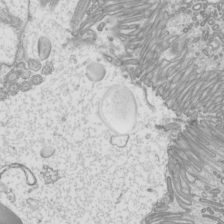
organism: Mouse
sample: Cilia; mouse epididymis